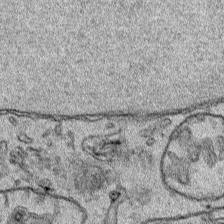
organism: Human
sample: Mitochondria in HCT116 cells